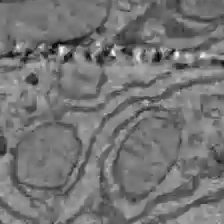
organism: C57BL Mouse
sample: Liver